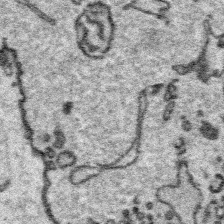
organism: Platynereis dumerilii